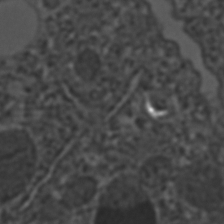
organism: C. elegans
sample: C. elegans embryo